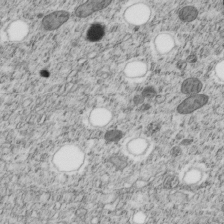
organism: C. elegans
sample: C. elegans embryo early stage